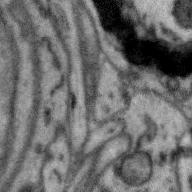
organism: Zebra finch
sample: Brain